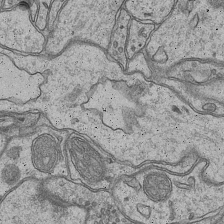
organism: Mouse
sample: CA1 Hippocampus